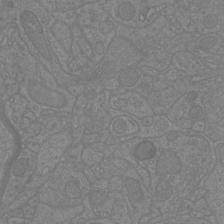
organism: Mouse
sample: Cortical neurons